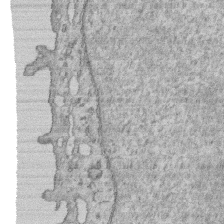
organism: Human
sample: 1205lu cells